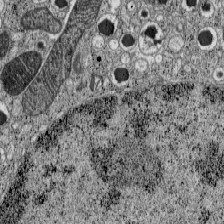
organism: C57BL Mouse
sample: Pancreatic islet